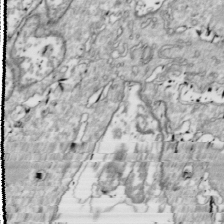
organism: Drosophila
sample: Cell division; meiosis; drosophila spermatocytes